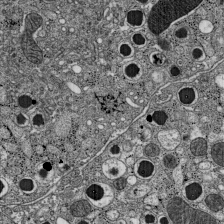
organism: C57BL Mouse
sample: Pancreatic islet